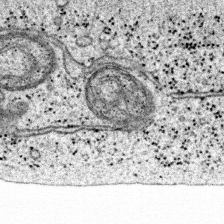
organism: Human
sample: HeLa cells